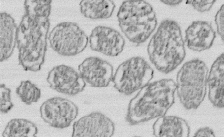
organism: E. coli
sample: Bacterial nucleoid